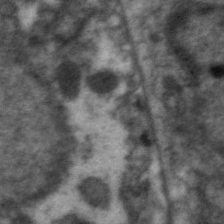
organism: C. elegans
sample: Pharynx